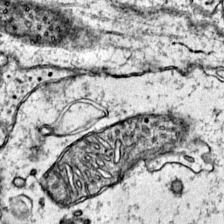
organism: Mouse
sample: Primary visual cortex